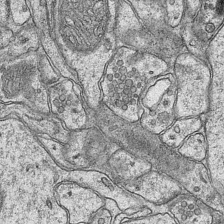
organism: Mouse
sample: CA1 Hippocampus